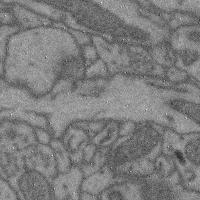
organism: Mouse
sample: Cerebral cortex